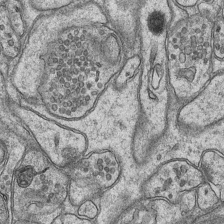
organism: Mouse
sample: CA1 Hippocampus